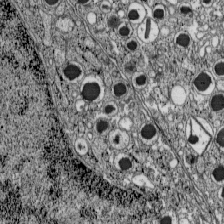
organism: C57BL Mouse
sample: Pancreatic islet